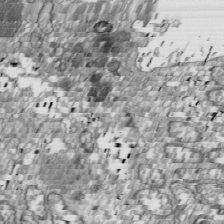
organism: Drosophila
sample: Cell division; meiosis; drosophila spermatocytes